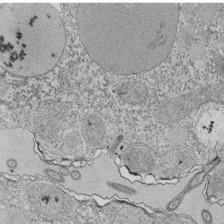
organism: Tetrahymena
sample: Cilia in tetrahymena